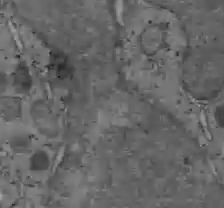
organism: C57BL Mouse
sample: Liver